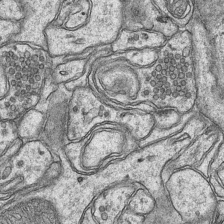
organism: Mouse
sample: CA1 Hippocampus